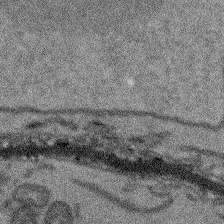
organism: Arabidopsis thaliana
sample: Root tip